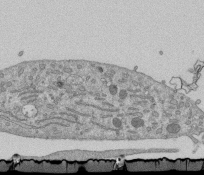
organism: Mouse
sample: ED-1 cell nuclei; centrioles